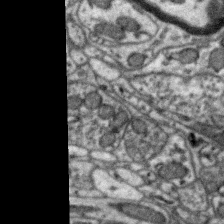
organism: Zebra finch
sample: Brain